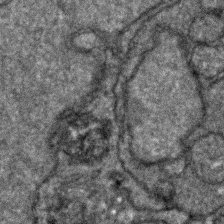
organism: Zebrafish